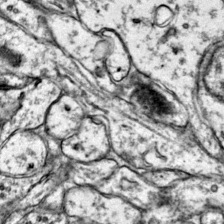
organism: Mouse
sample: Primary visual cortex